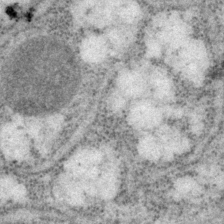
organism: P. pacificus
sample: Pharynx